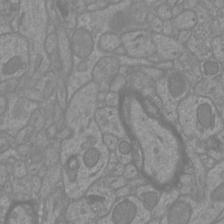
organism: Mouse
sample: Cortical neurons